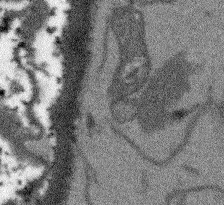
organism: Arabidopsis thaliana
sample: Root tip